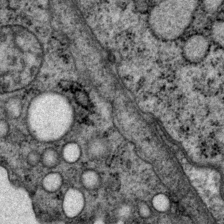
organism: P. pacificus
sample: Pharynx